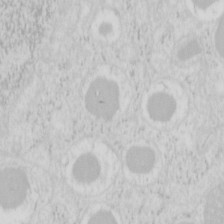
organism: Mouse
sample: Pancreas